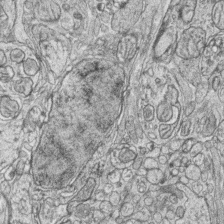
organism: Zebrafish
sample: synaptic ribbons in rod cells and cone cells